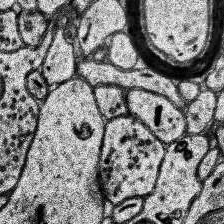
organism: Human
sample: Temporal Lobe